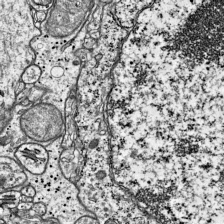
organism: Mouse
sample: Visual Cortex